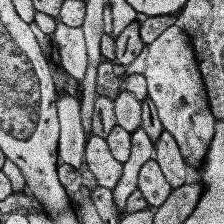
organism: Human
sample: Temporal Lobe